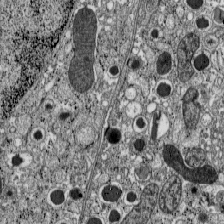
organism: C57BL Mouse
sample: Pancreatic islet